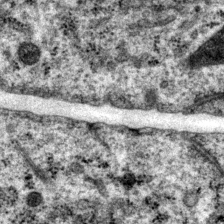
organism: P. pacificus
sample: Pharynx